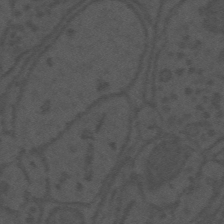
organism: Mouse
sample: Suprachiasmatic nucleus